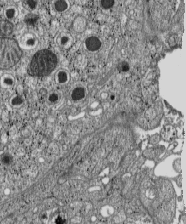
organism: C57BL Mouse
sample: Pancreatic islet